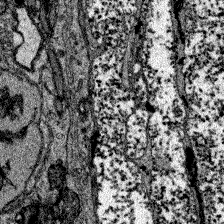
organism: Zebrafish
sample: Larval olfactory bulb